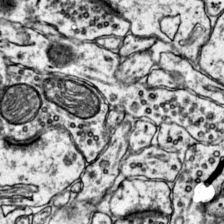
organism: Mouse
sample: Primary visual cortex